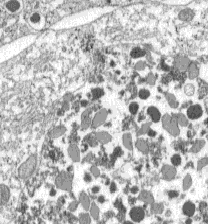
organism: C57BL Mouse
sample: Pancreatic islet